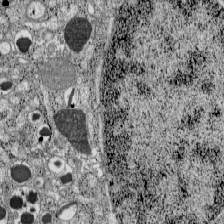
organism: C57BL Mouse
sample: Pancreatic islet